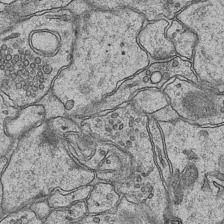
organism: Mouse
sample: CA1 Hippocampus